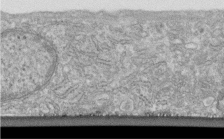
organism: Human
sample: Centriole in fibroblast cells